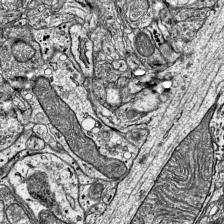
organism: Mouse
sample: Visual Cortex